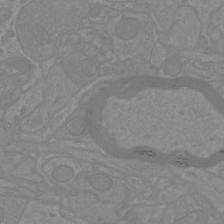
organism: Mouse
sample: Cortical neurons